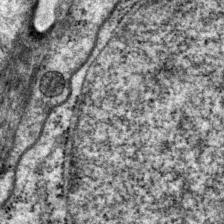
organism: P. pacificus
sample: Pharynx